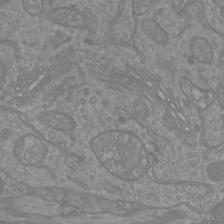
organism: Mouse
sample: Cortical neurons